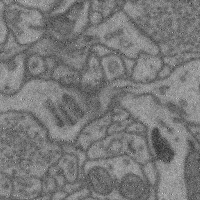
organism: Mouse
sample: Cerebral cortex